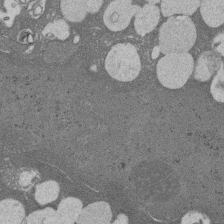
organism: Rat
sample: Salivary granule